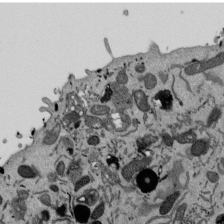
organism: Mouse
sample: ED-1 cell nuclei; centrioles